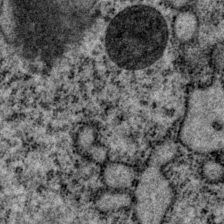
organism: P. pacificus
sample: Pharynx